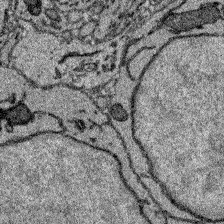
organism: Zebrafish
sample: Larval olfactory bulb